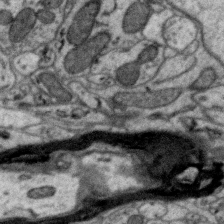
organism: Zebra finch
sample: Brain